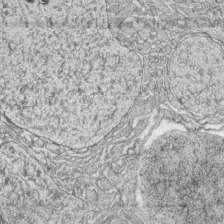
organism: Zebrafish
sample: synaptic ribbons in rod cells and cone cells